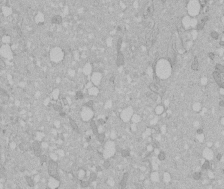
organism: Human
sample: Melanocyte Keratinocyte synapse skin construct